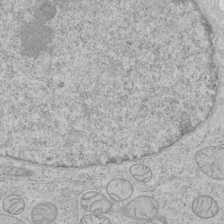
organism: Human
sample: Mitochondria in HCT116 cells